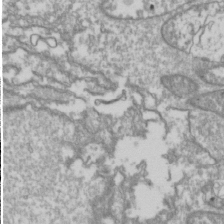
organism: Drosophila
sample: Cell division; meiosis; drosophila spermatocytes